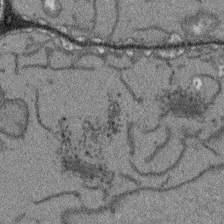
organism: Arabidopsis thaliana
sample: Root tip